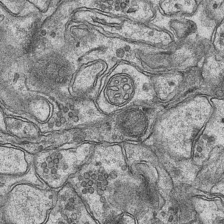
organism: Mouse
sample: CA1 Hippocampus